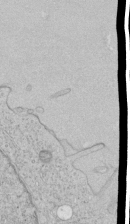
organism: Human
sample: Mitochondria in HCT116 cells